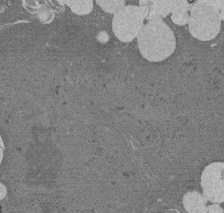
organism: Rat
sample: Salivary granule